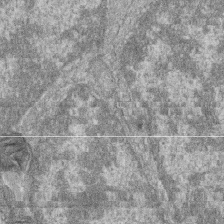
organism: Zebrafish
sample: Cilia; retinal pigment epithelium